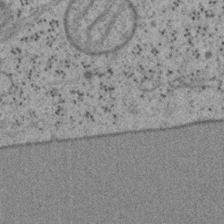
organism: Human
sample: HeLa cells